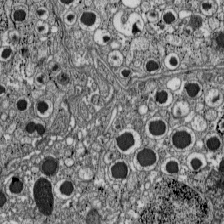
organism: C57BL Mouse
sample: Pancreatic islet